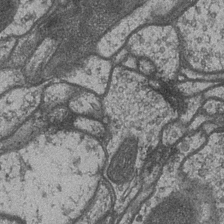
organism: Drosophila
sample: Optic medulla